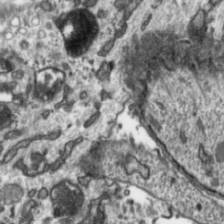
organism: Toxoplasma gondii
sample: Parasites in a vacuole inside a host cell